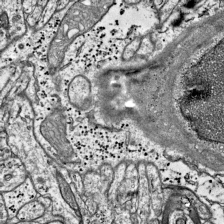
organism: Mouse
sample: Visual Cortex